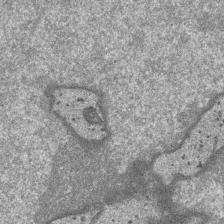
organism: Human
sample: Lung epithelial cells infected with SARS-CoV-2